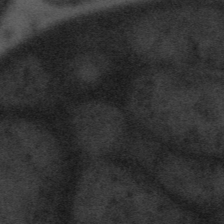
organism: Tuwongella immobilis